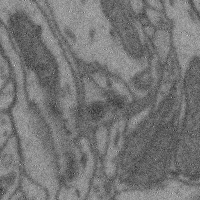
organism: Mouse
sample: Cerebral cortex